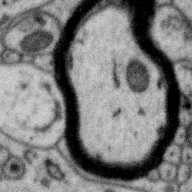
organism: Zebra finch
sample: Brain